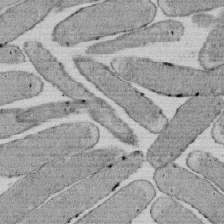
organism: E. coli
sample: Bacterial nucleoid